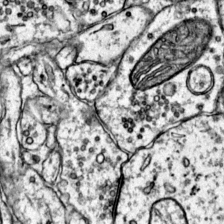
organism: Mouse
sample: Primary visual cortex